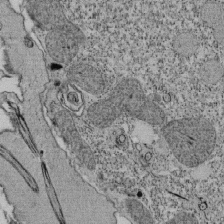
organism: Tetrahymena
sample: Cilia in tetrahymena